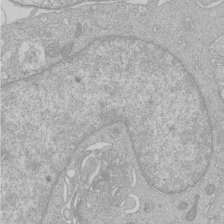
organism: Human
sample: Macrophage cells